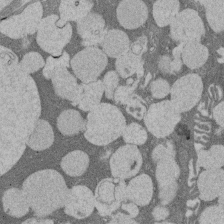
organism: Rat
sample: Salivary granule